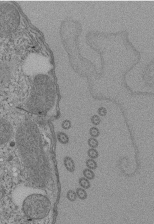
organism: Tetrahymena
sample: Cilia in tetrahymena